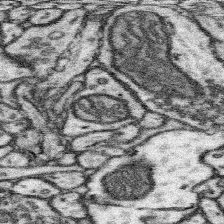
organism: Mouse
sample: Somatosensory cortex neuropil